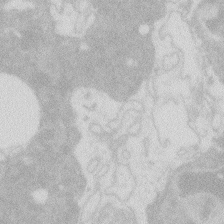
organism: Zebrafish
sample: Macrophage